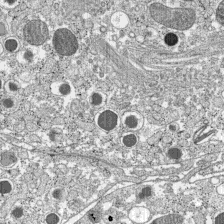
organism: C57BL Mouse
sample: Pancreatic islet